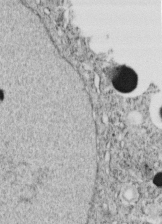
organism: C. elegans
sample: C. elegans embryo early stage